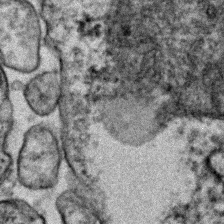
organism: Human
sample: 1205lu cells